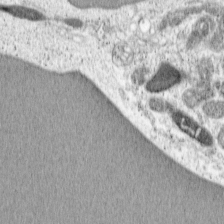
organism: African green monkey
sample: COS-7 cells